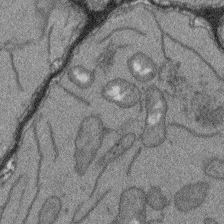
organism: Arabidopsis thaliana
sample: Root tip